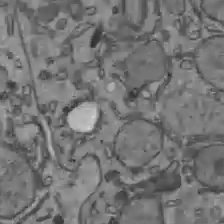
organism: C57BL Mouse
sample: Liver